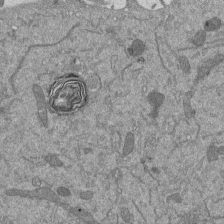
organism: Mouse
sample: ED-1 cell nuclei; centrioles